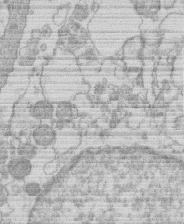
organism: Human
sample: Macrophage cells